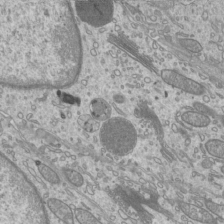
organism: Mouse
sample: Cilia; mouse epididymis